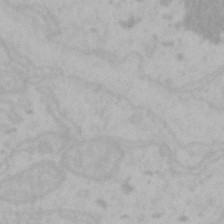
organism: Mouse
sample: Choroid plexus